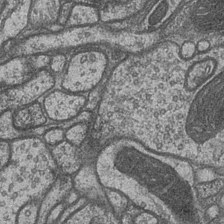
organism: Drosophila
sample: Optic medulla